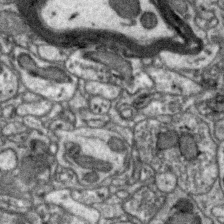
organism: Zebra finch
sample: Brain